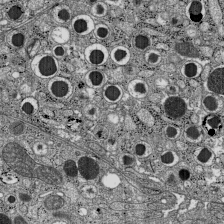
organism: C57BL Mouse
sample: Pancreatic islet